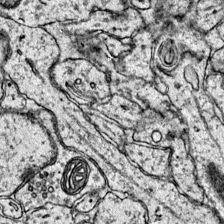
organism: Mouse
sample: Primary visual cortex